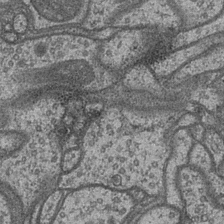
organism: Drosophila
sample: Optic medulla